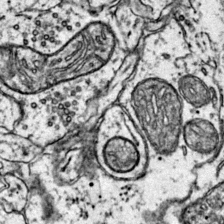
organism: Mouse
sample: Primary visual cortex